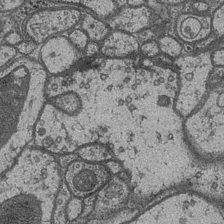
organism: Drosophila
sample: Optic medulla